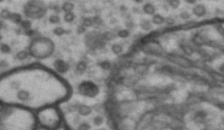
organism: Drosophila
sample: Brain